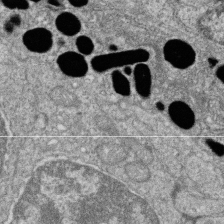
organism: Zebrafish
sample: Cilia; retinal pigment epithelium